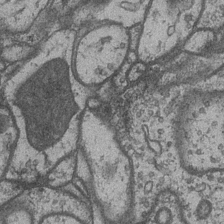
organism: Drosophila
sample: Optic medulla